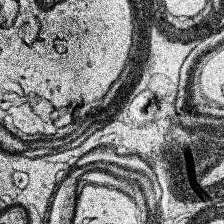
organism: Human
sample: Temporal Lobe